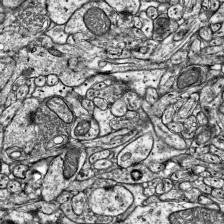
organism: Mouse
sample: Visual Cortex